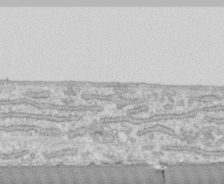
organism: Human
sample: CRL-1474